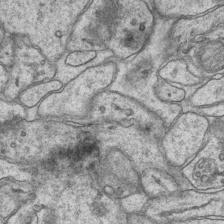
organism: Mouse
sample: CA1 Hippocampus